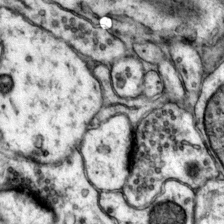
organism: Mouse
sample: Primary visual cortex